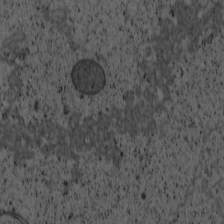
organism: African green monkey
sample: COS-7 cells